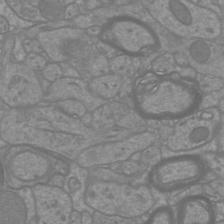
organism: Mouse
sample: Cortical neurons